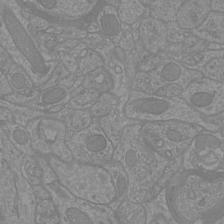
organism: Mouse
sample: Cortical neurons